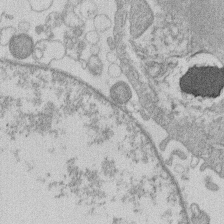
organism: Human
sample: Macrophage cells